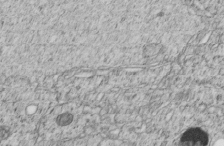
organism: C. elegans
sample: C. elegans embryo early stage